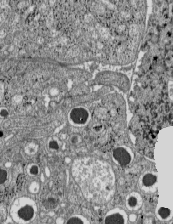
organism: C57BL Mouse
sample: Pancreatic islet